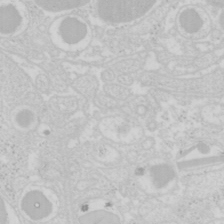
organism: Mouse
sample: Pancreas